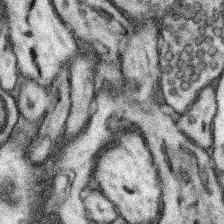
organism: Mouse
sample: Somatosensory cortex neuropil